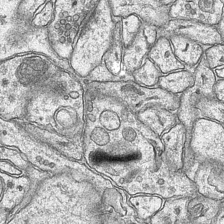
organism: Mouse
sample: CA1 Hippocampus